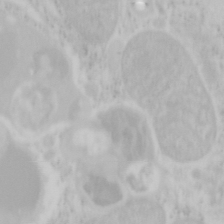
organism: Mouse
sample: OT-I killer T cells with ID8 ovarian cancer cells